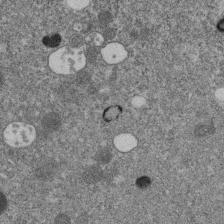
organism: C. elegans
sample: C. elegans embryo early stage